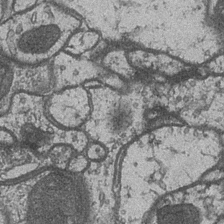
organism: Drosophila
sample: Optic medulla